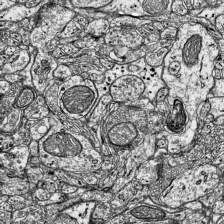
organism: Mouse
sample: Visual Cortex